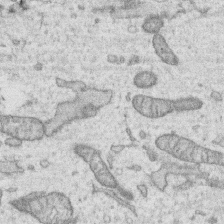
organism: Human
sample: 1205lu cells